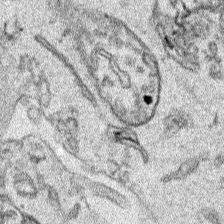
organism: Human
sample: Mitochondria in HCT116 cells